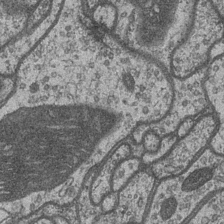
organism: Drosophila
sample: Optic medulla